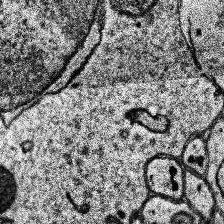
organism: Human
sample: Temporal Lobe